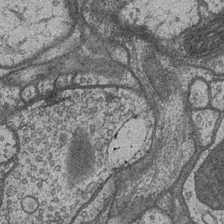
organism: Drosophila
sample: Optic medulla